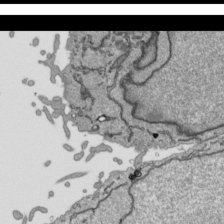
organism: Human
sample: Mitochondria in HCT116 cells